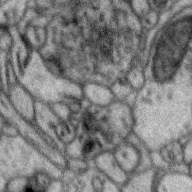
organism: Zebra finch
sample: Brain